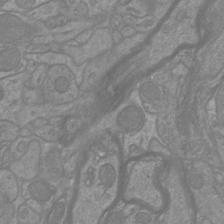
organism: Mouse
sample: Cortical neurons